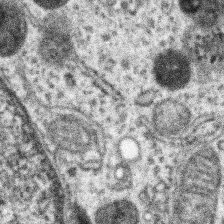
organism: Human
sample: HeLa cells